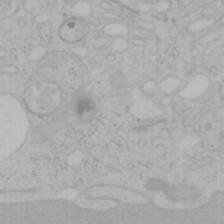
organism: Mouse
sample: OT-I killer T cells with ID8 ovarian cancer cells